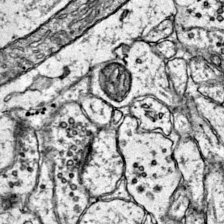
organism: Mouse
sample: Primary visual cortex